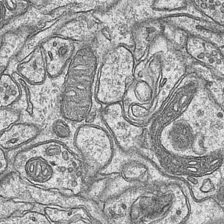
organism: Mouse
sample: CA1 Hippocampus